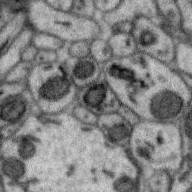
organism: Zebra finch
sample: Brain